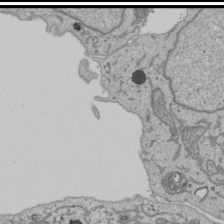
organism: Human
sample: Mitochondria in U2OS cells